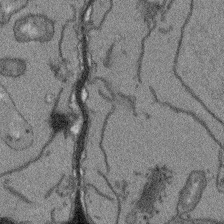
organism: Arabidopsis thaliana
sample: Root tip